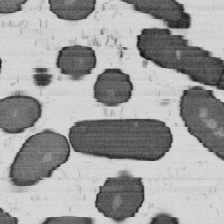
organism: B. subtilis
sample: Bacterial spore